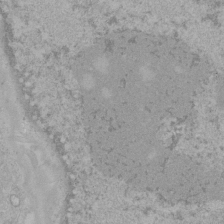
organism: Human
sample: Mitochondria in HCT116 cells